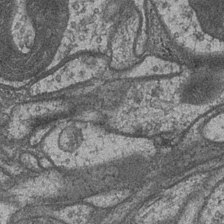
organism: Drosophila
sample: Optic medulla